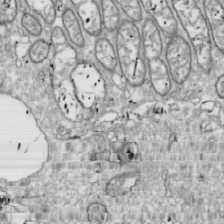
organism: Drosophila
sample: Cell division; meiosis; drosophila spermatocytes